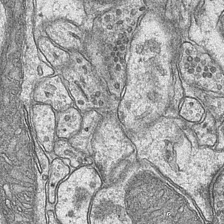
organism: Mouse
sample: CA1 Hippocampus